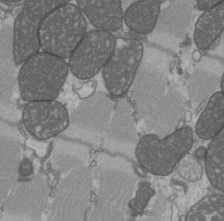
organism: C57BL Mouse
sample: Heart